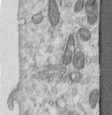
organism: Human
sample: Centriole in RPE cells